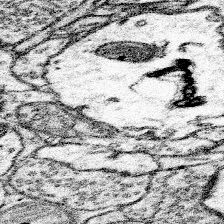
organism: Mouse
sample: Somatosensory cortex neuropil